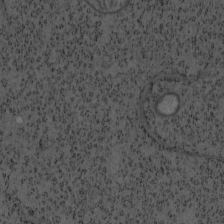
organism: Mouse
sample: OT-I killer T cells with ID8 ovarian cancer cells